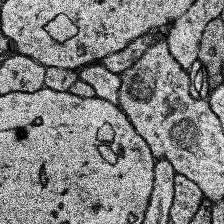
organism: Human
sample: Temporal Lobe